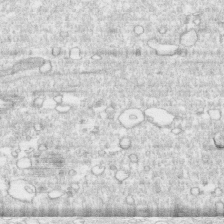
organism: Human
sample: CRL-1474